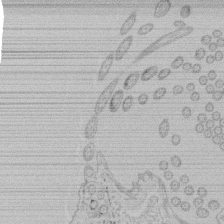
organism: Tetrahymena